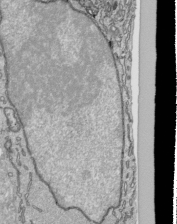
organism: Human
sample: Mitochondria in HCT116 cells